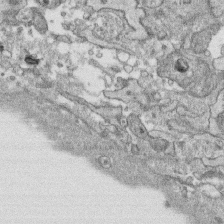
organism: Human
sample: CRL-1474